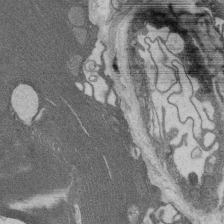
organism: Rat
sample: Salivary granule